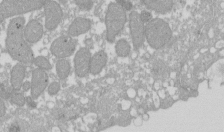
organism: Xenopus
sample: Cilia; centrioles in frog embryo cells